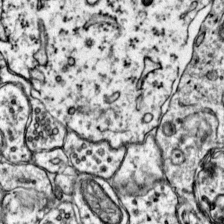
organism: Mouse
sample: Primary visual cortex